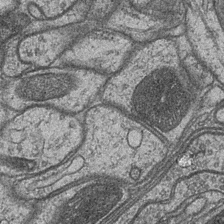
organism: Drosophila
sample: Optic medulla